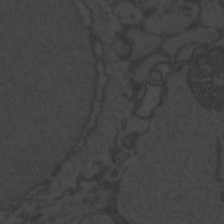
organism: Zebrafish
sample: Macrophage infected with Toxoplasma gondii